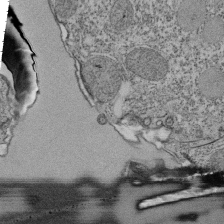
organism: Tetrahymena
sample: Cilia in tetrahymena